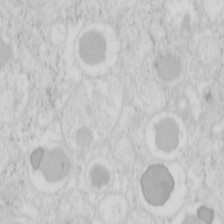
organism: Mouse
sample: Pancreas